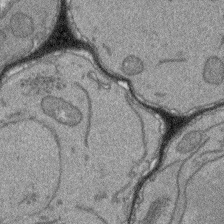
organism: Arabidopsis thaliana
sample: Root tip